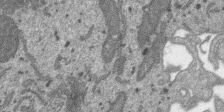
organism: Human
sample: Lung epithelial cells infected with SARS-CoV-2